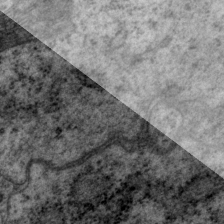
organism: P. pacificus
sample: Pharynx